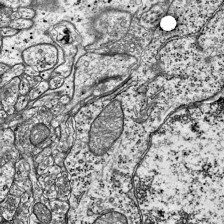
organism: Mouse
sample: Visual Cortex